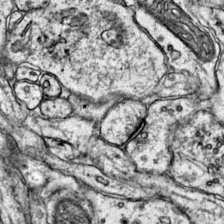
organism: Mouse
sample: Primary visual cortex